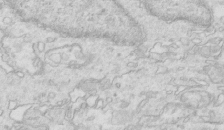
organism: Mouse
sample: Multiciliated cells